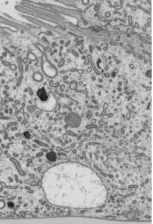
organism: Mouse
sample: Mouse epididymis efferent ductule cilia